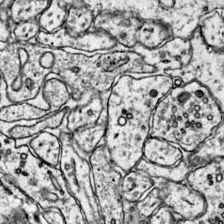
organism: Mouse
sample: Primary visual cortex